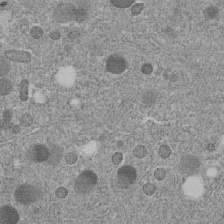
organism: C. elegans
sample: C. elegans embryo early stage